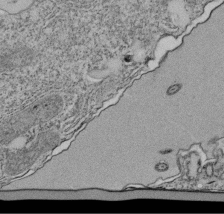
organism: Tetrahymena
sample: Cilia in tetrahymena